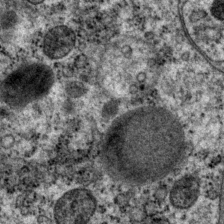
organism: P. pacificus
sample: Pharynx